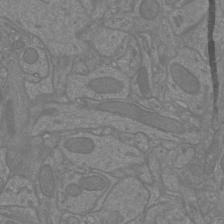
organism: Mouse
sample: Cortical neurons